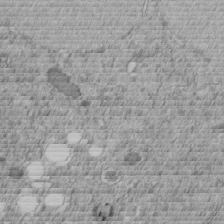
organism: C. elegans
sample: C. elegans embryo early stage